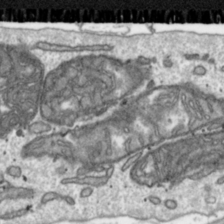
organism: Toxoplasma gondii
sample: Parasites in a vacuole inside a host cell